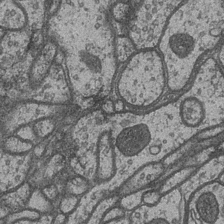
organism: Drosophila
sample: Optic medulla